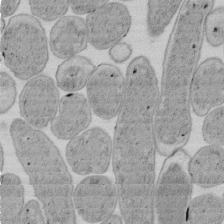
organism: E. coli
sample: Bacterial nucleoid